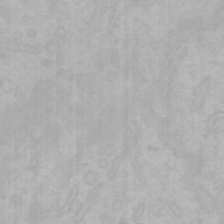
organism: Mouse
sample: Choroid plexus